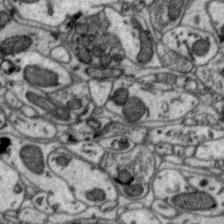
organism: Zebra finch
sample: Brain